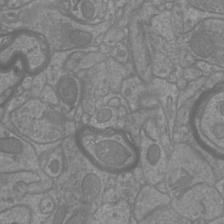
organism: Mouse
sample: Cortical neurons